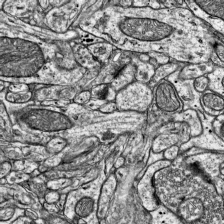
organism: Mouse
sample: Visual Cortex